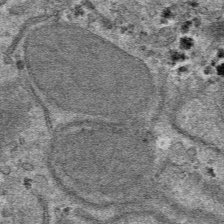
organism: Mouse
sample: Mouse hepatocytes